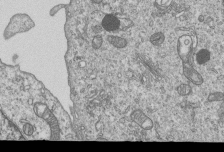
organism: Human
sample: MDA-MB-231 cells